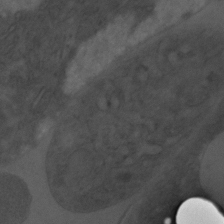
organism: C. elegans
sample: C. elegans embryo